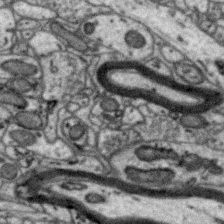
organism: Zebra finch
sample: Brain